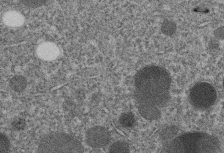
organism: C. elegans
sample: C. elegans embryo early stage